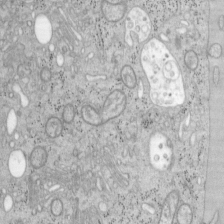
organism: Mouse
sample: OT-I killer T cells with ID8 ovarian cancer cells